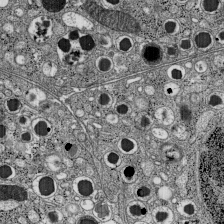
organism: C57BL Mouse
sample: Pancreatic islet